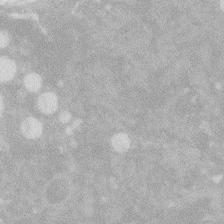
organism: Zebrafish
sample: Macrophage